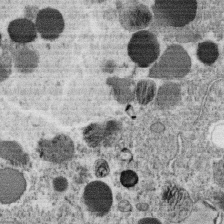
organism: C. elegans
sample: C. elegans oocyte; sperm cells